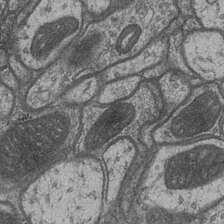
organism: Drosophila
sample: Optic medulla